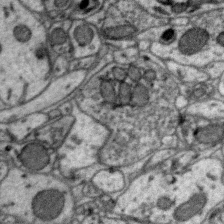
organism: Zebra finch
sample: Brain